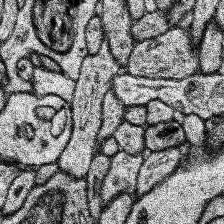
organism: Human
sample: Temporal Lobe